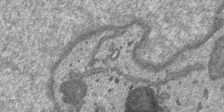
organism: Human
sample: Lung epithelial cells infected with SARS-CoV-2